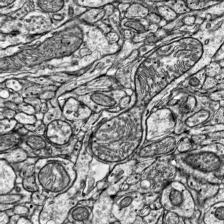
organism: Mouse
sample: Visual Cortex